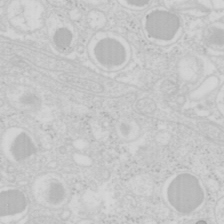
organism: Mouse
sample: Pancreas